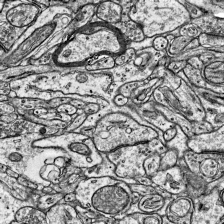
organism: Mouse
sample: Visual Cortex